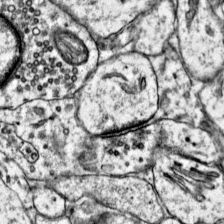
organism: Mouse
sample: Primary visual cortex